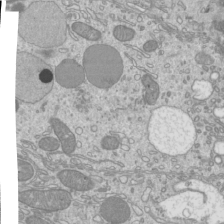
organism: Mouse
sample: Cilia; mouse epididymis